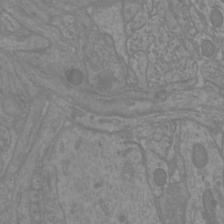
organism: Mouse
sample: Cortical neurons